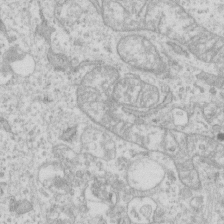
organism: Human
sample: Fibroblast cells